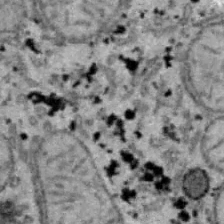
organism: Mouse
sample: Liver from an obese (ob/ob) mouse